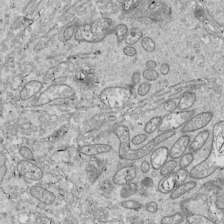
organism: Drosophila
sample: Cell division; meiosis; drosophila spermatocytes